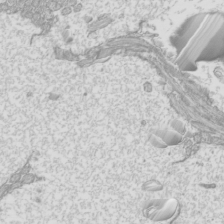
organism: Mouse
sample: Cilia; mouse epididymis